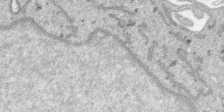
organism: Human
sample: Lung epithelial cells infected with SARS-CoV-2